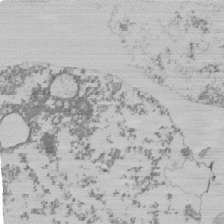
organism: Mouse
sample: Activated Pmel transgenic CD8+ T Cells